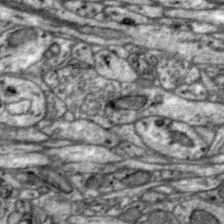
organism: Zebra finch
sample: Brain